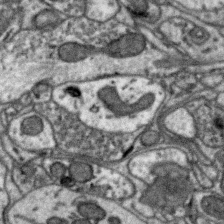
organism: Zebra finch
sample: Brain